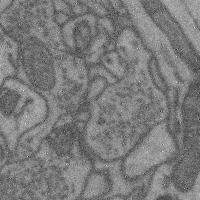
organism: Mouse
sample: Cerebral cortex